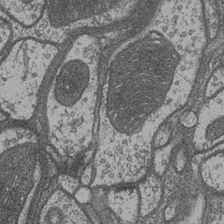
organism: Drosophila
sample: Optic medulla